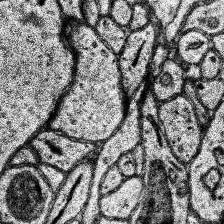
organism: Human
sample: Temporal Lobe